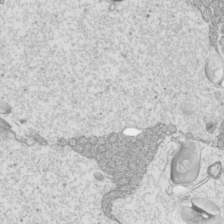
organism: Mouse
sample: Cilia; mouse epididymis